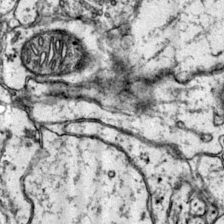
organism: Mouse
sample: Primary visual cortex